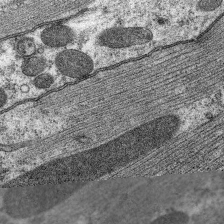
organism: C. elegans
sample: Pharynx